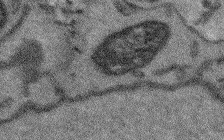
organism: Arabidopsis thaliana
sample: Root tip